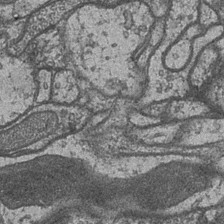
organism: Drosophila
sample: Optic medulla